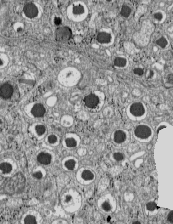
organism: C57BL Mouse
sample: Pancreatic islet